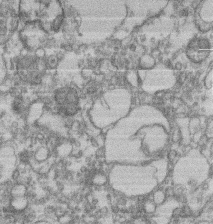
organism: Mouse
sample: T cell stromal cell synapse